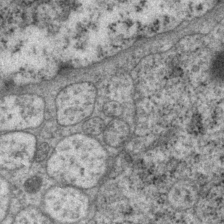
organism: P. pacificus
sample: Pharynx